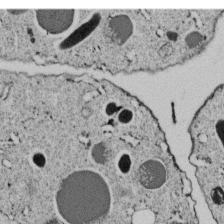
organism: C. elegans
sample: C. elegans embryo early stage